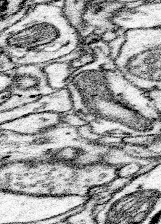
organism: Mouse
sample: Somatosensory cortex neuropil